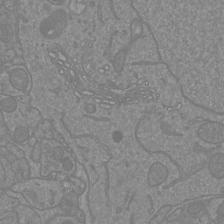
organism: Mouse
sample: Cortical neurons